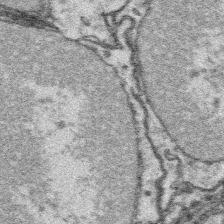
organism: Platynereis dumerilii